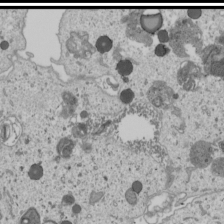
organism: Human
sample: Mitochondria in U2OS cells